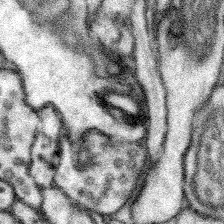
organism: Mouse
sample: Somatosensory cortex neuropil